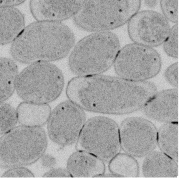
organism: E. coli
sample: Bacterial nucleoid